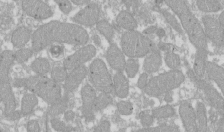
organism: Xenopus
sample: Cilia; centrioles in frog embryo cells